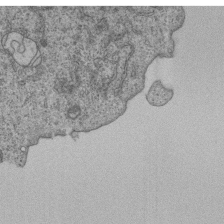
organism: Human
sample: MDA-MB-231 cells